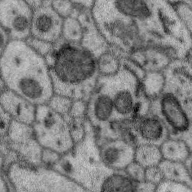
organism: Zebra finch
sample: Brain